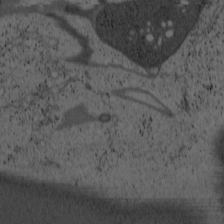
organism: African green monkey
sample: COS-7 cells